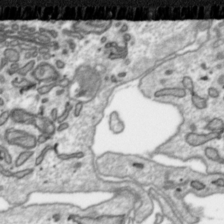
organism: Toxoplasma gondii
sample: Parasites in a vacuole inside a host cell